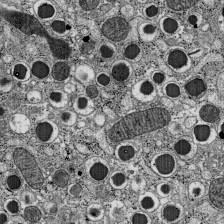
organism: C57BL Mouse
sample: Pancreatic islet